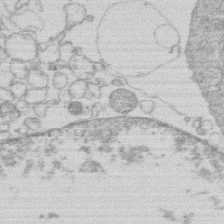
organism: Human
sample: Macrophage cells